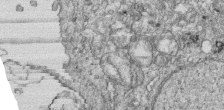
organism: Human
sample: HeLa cell HIV synapse